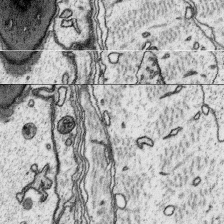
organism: Platynereis dumerilii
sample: Parapodia